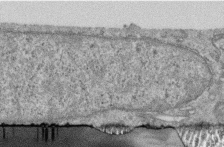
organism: Human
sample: Centriole in RPE cells